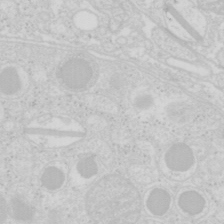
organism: Mouse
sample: Pancreas